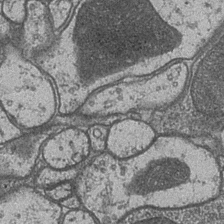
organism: Drosophila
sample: Optic medulla